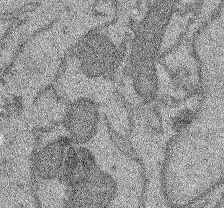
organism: Human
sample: HeLa cells